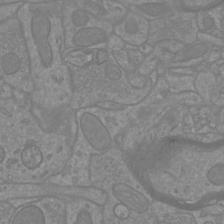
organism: Mouse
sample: Cortical neurons